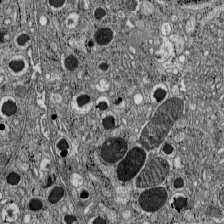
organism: C57BL Mouse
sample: Pancreatic islet